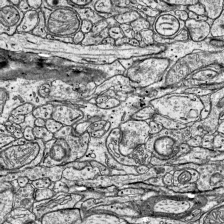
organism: Mouse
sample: Visual Cortex